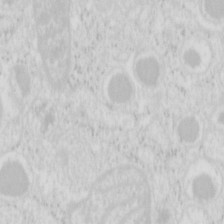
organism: Mouse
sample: Pancreas